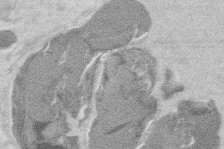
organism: Mouse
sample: T cell stromal cell synapse